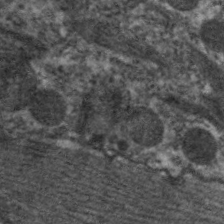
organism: C. elegans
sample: Pharynx